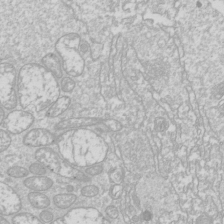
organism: Drosophila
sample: Cell division; meiosis; drosophila spermatocytes